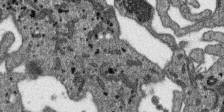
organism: Human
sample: Lung epithelial cells infected with SARS-CoV-2